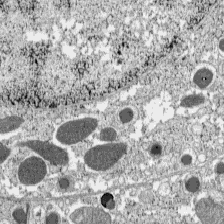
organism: C57BL Mouse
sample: Pancreatic islet